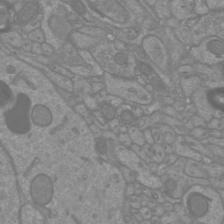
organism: Mouse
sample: Cortical neurons